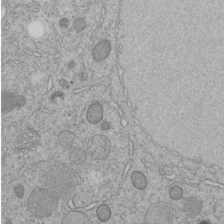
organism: C. elegans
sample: C. elegans embryo early stage